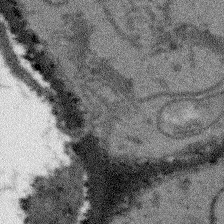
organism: Arabidopsis thaliana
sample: Root tip